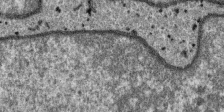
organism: Human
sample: Lung epithelial cells, uninfected (mock) control